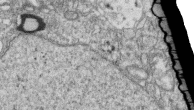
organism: Human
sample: HeLa cell HIV synapse